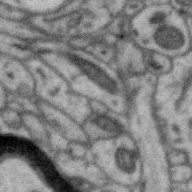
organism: Zebra finch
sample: Brain